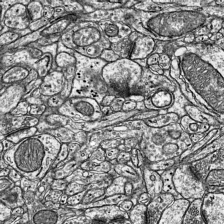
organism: Mouse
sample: Visual Cortex